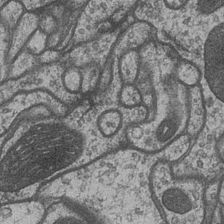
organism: Drosophila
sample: Optic medulla